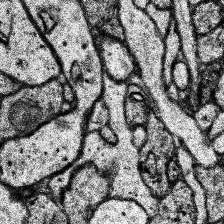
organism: Human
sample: Temporal Lobe